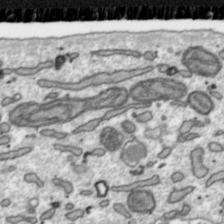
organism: Toxoplasma gondii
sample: Parasites in a vacuole inside a host cell